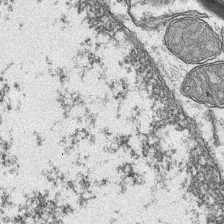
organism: Mouse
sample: CA1 Hippocampus